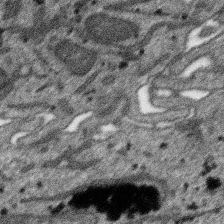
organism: Human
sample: Lung epithelial cells infected with SARS-CoV-2